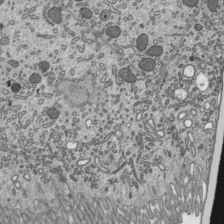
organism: Mouse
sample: Mouse epididymis efferent ductule cilia